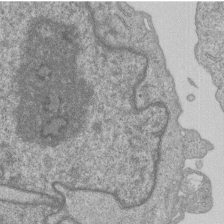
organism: Human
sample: MDA-MB-231 cells